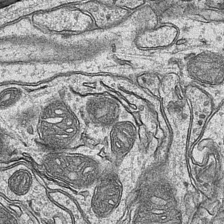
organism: Mouse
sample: CA1 Hippocampus